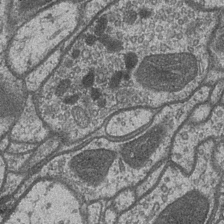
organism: Drosophila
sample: Optic medulla